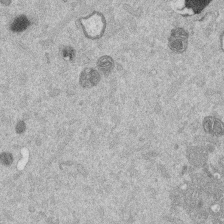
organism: Mouse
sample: Dividing mouse embryo 1 cell stage